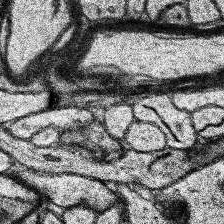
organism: Human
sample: Temporal Lobe